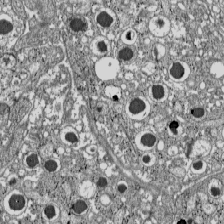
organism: C57BL Mouse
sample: Pancreatic islet